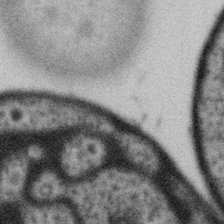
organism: Gemmata obscuriglobus